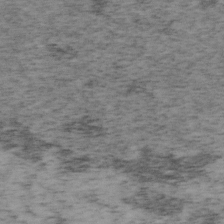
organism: Mouse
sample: OT-I killer T cells with ID8 ovarian cancer cells